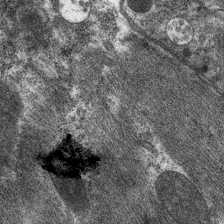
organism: C. elegans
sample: Pharynx